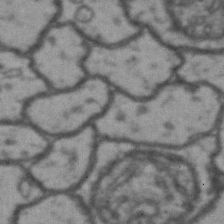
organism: Drosophila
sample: Brain